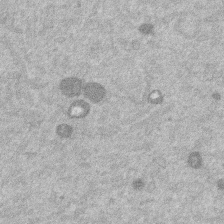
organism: Mouse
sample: Dividing mouse embryo 1 cell stage